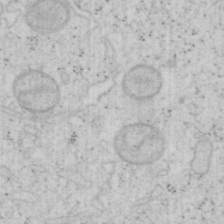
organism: Human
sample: HeLa cells